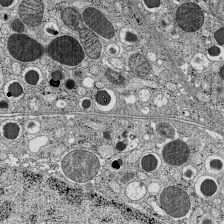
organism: C57BL Mouse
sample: Pancreatic islet